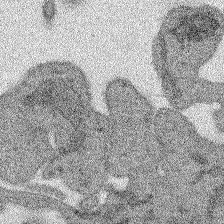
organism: Human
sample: HeLa cells